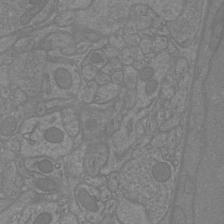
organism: Mouse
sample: Cortical neurons